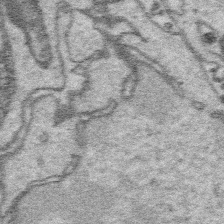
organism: Platynereis dumerilii